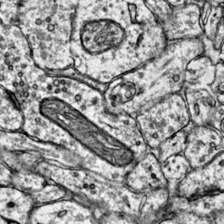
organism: Mouse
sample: Primary visual cortex